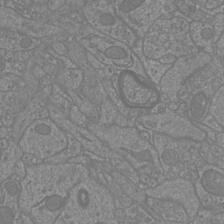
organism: Mouse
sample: Cortical neurons